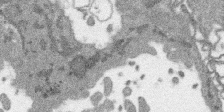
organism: Human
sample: Lung epithelial cells infected with SARS-CoV-2